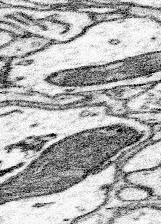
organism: Mouse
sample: Somatosensory cortex neuropil